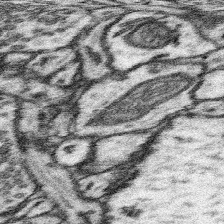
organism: Mouse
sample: Somatosensory cortex neuropil